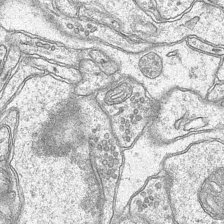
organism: Mouse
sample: CA1 Hippocampus